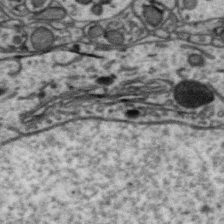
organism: Zebra finch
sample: Brain